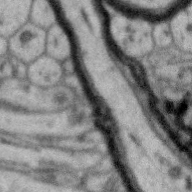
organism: Zebra finch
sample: Brain